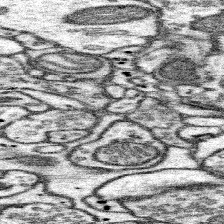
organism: Mouse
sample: Somatosensory cortex neuropil